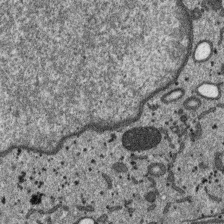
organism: Human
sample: Lung epithelial cells infected with SARS-CoV-2